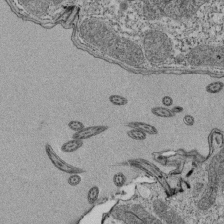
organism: Tetrahymena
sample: Cilia in tetrahymena